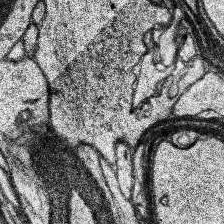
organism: Human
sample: Temporal Lobe